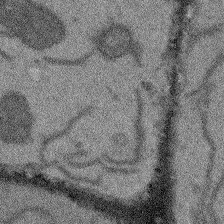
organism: Arabidopsis thaliana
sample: Root tip